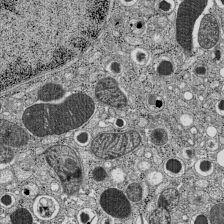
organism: C57BL Mouse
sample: Pancreatic islet